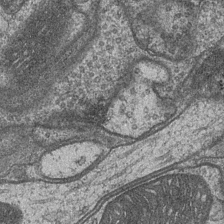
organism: Drosophila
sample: Optic medulla